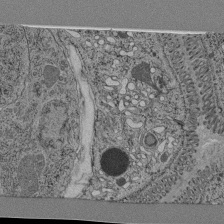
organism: C. elegans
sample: C. elegans pharynx